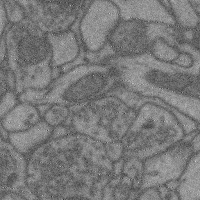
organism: Mouse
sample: Cerebral cortex